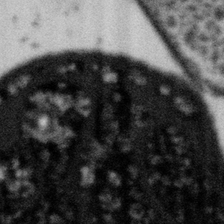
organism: Gemmata obscuriglobus